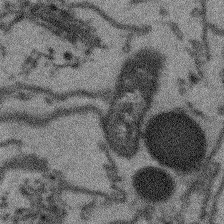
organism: Arabidopsis thaliana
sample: Root tip